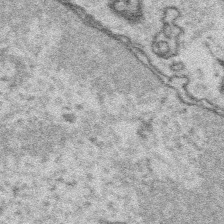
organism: Platynereis dumerilii